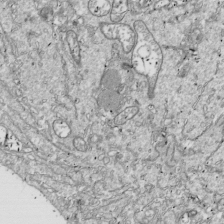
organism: Drosophila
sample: Cell division; meiosis; drosophila spermatocytes